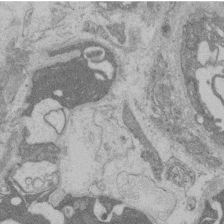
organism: Rat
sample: Salivary granule